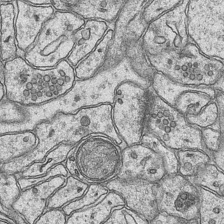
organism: Mouse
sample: CA1 Hippocampus